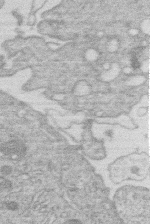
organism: Human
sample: Macrophage cells